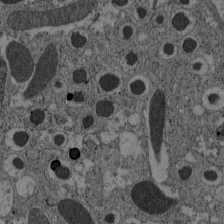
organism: C57BL Mouse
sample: Pancreatic islet